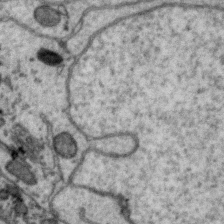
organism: Zebra finch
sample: Brain